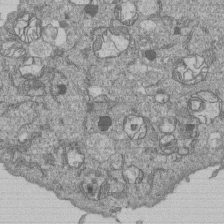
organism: Human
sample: MDA-MB-231 cells